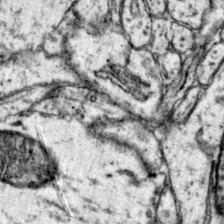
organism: Mouse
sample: Primary visual cortex